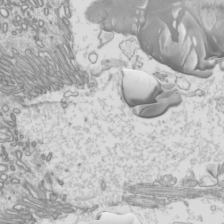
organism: Mouse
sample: Cilia; mouse epididymis